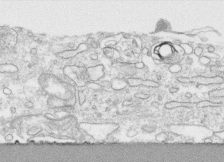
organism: Human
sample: CRL-1474